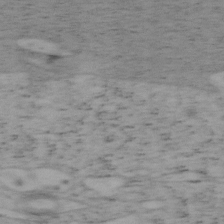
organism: Mouse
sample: OT-I killer T cells with ID8 ovarian cancer cells